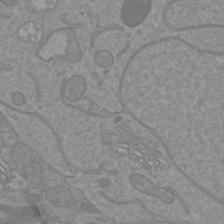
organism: Mouse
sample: Cortical neurons